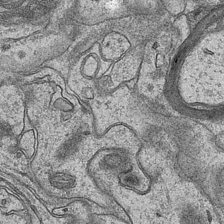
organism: Mouse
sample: CA1 Hippocampus